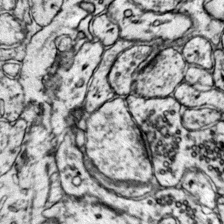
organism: Mouse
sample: Primary visual cortex